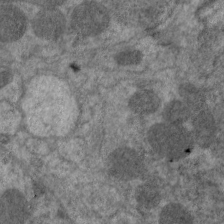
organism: C. elegans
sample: Pharynx